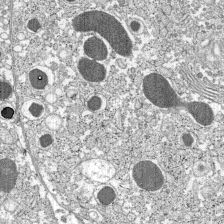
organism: C57BL Mouse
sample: Pancreatic islet